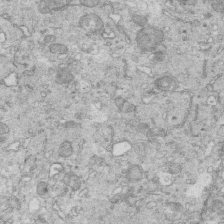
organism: Mouse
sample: Multiciliated cells